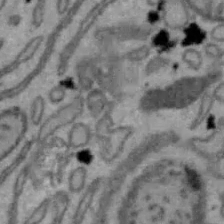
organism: Mouse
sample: Liver